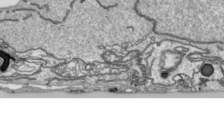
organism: Human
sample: Mitochondria in HCT116 cells